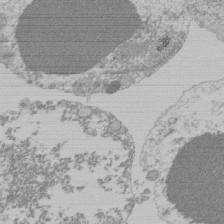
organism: Mouse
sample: Activated Pmel transgenic CD8+ T Cells